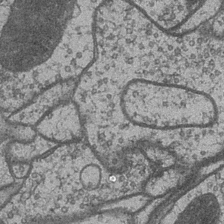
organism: Drosophila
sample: Optic medulla